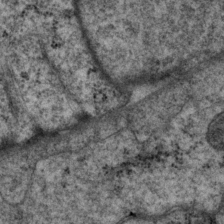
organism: P. pacificus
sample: Pharynx